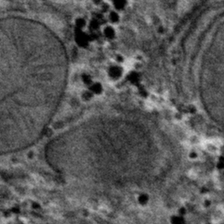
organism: Mouse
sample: Mouse hepatocytes